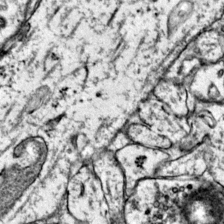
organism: Mouse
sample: Primary visual cortex